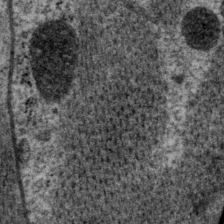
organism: P. pacificus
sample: Pharynx